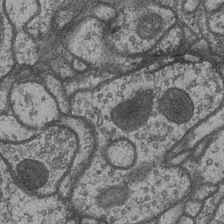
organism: Drosophila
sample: Optic medulla